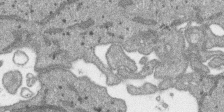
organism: Human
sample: Lung epithelial cells infected with SARS-CoV-2